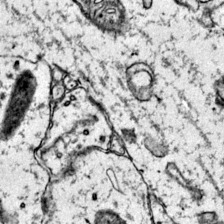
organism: Mouse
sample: Primary visual cortex